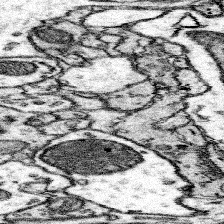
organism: Mouse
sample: Somatosensory cortex neuropil